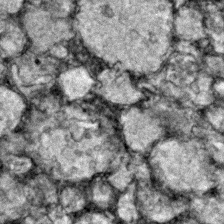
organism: Zebrafish